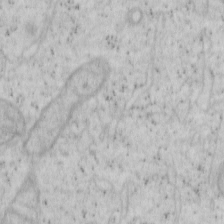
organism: Human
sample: HeLa cells